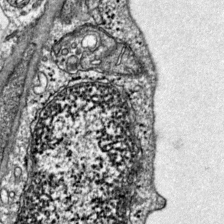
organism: Mouse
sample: Primary visual cortex